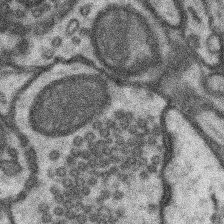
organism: Mouse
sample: Somatosensory cortex neuropil